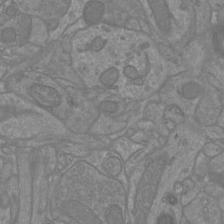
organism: Mouse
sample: Cortical neurons